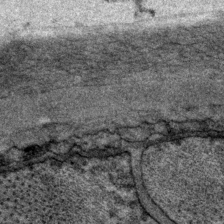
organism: P. pacificus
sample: Pharynx